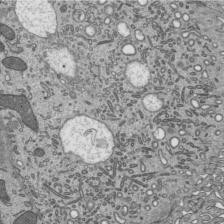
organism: Mouse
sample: Mouse epididymis efferent ductule cilia